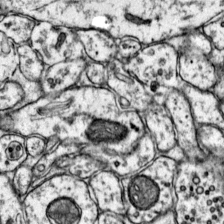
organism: Mouse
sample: Primary visual cortex